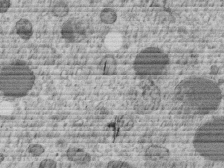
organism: C. elegans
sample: C. elegans embryo early stage